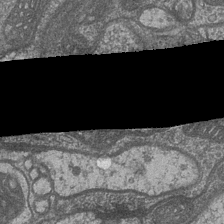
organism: Drosophila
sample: Optic medulla